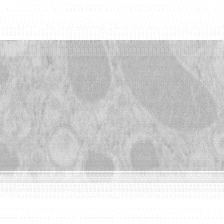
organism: Mouse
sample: Pancreas